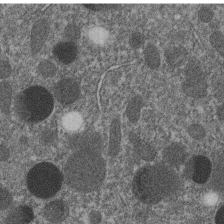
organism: C. elegans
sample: C. elegans embryo early stage